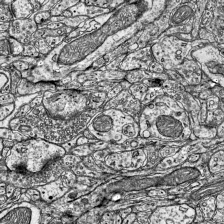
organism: Mouse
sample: Visual Cortex